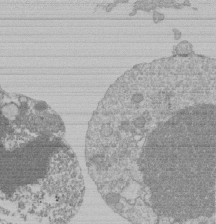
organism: Mouse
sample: Activated Pmel transgenic CD8+ T Cells